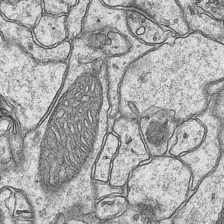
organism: Mouse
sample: CA1 Hippocampus